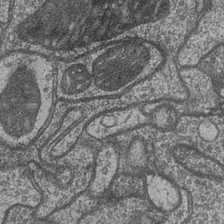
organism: Drosophila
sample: Optic medulla